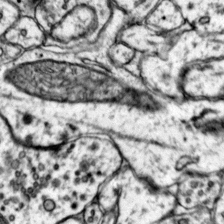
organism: Mouse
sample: Primary visual cortex